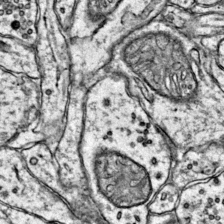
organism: Mouse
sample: Primary visual cortex